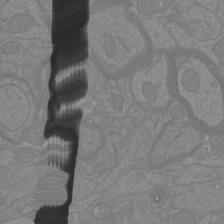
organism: Mouse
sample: Cortical neurons